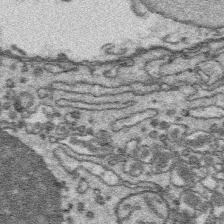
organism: Platynereis dumerilii